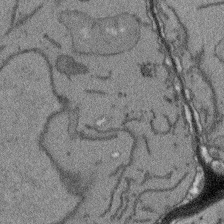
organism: Arabidopsis thaliana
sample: Root tip